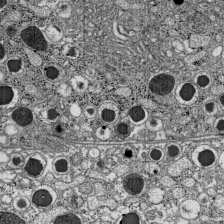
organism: C57BL Mouse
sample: Pancreatic islet